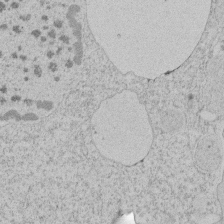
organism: Tetrahymena